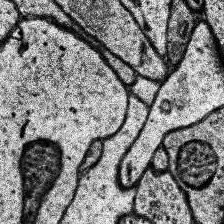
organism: Human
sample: Temporal Lobe